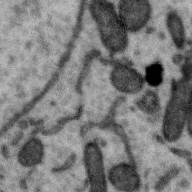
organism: Zebra finch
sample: Brain